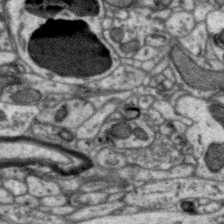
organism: Zebra finch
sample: Brain